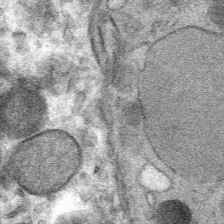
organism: Mouse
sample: Mouse Salivary gland